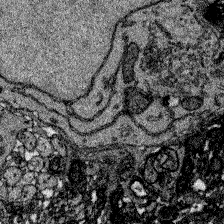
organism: Zebrafish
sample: Larval olfactory bulb